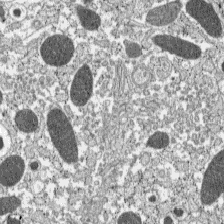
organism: C57BL Mouse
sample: Pancreatic islet